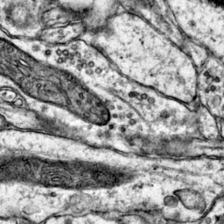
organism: Mouse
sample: Primary visual cortex